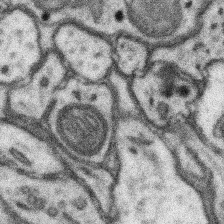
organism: Mouse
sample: Somatosensory cortex neuropil